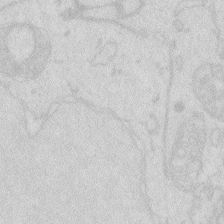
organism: Zebrafish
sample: Macrophage